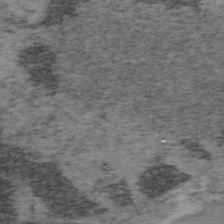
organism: Mouse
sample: OT-I killer T cells with ID8 ovarian cancer cells